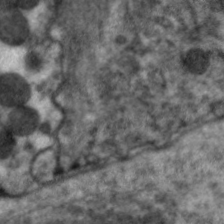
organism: C. elegans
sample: Pharynx